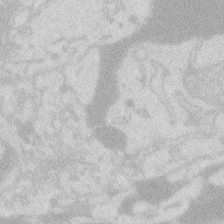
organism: Zebrafish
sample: Macrophage